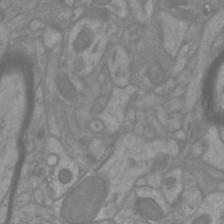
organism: Mouse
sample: Cortical neurons